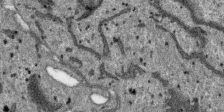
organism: Human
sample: Lung epithelial cells, uninfected (mock) control